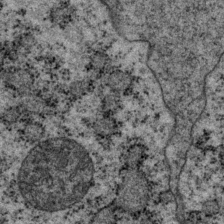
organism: P. pacificus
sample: Pharynx